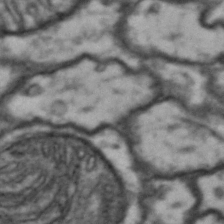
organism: Drosophila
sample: Brain